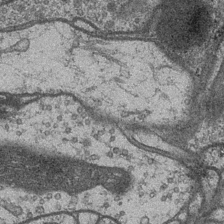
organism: Drosophila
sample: Optic medulla